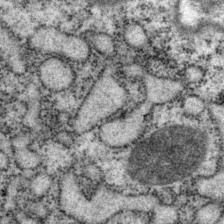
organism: P. pacificus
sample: Pharynx